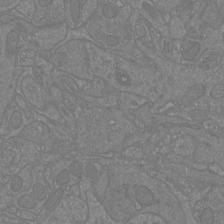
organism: Mouse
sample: Cortical neurons